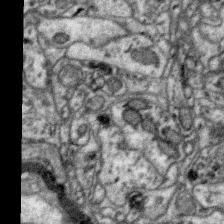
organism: Zebra finch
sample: Brain